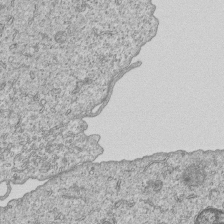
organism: Human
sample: MDA-MB-231 cells